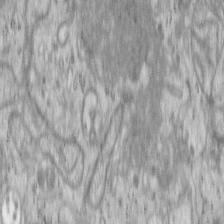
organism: Human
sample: HeLa cells